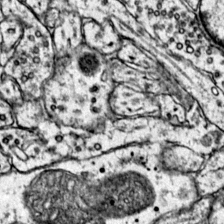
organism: Mouse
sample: Primary visual cortex